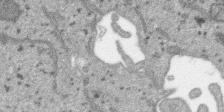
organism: Human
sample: Lung epithelial cells infected with SARS-CoV-2